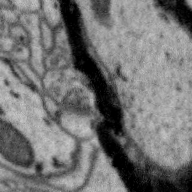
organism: Zebra finch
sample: Brain